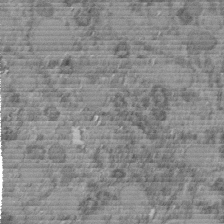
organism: C. elegans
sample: C. elegans embryo early stage